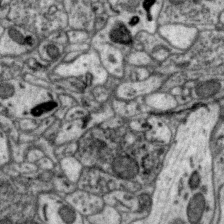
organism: Zebra finch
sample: Brain